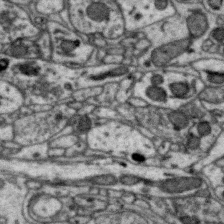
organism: Zebra finch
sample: Brain